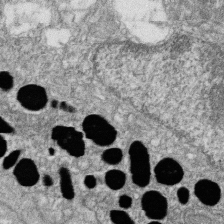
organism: Zebrafish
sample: Cilia; retinal pigment epithelium